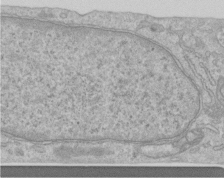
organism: Human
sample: Centriole in RPE cells